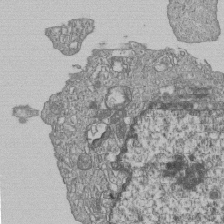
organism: Human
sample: MDA-MB-231 cells